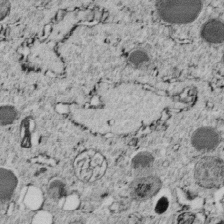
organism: C. elegans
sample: C. elegans embryo early stage